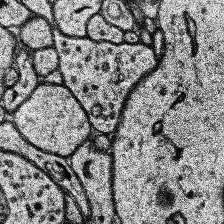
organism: Human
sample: Temporal Lobe